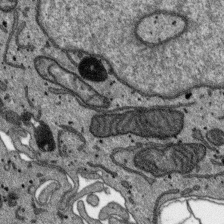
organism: Human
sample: Lung epithelial cells, uninfected (mock) control